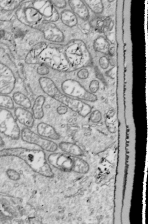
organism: Drosophila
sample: Cell division; meiosis; drosophila spermatocytes